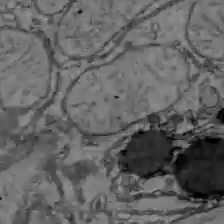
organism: C57BL Mouse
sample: Liver